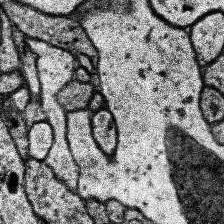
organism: Human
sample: Temporal Lobe